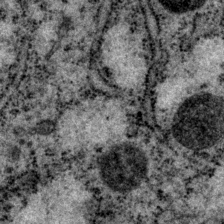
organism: P. pacificus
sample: Pharynx